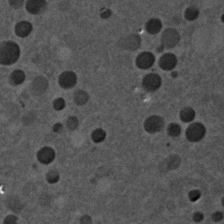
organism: C. elegans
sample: C. elegans embryo